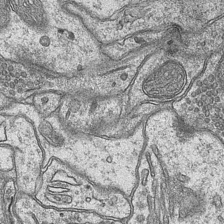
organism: Mouse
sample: CA1 Hippocampus